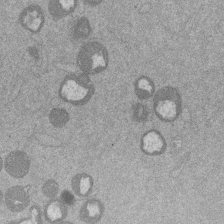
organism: Mouse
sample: Dividing mouse embryo 1 cell stage